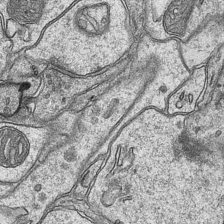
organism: Mouse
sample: CA1 Hippocampus